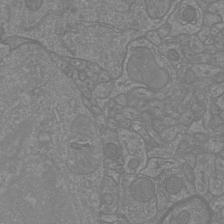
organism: Mouse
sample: Cortical neurons